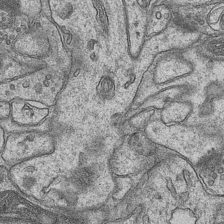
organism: Mouse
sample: CA1 Hippocampus